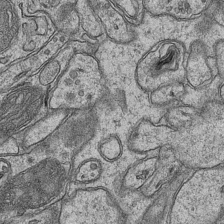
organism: Mouse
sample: CA1 Hippocampus